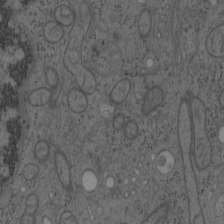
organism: Mouse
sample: OT-I killer T cells with ID8 ovarian cancer cells